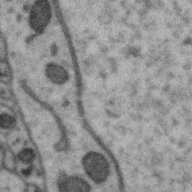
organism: Zebra finch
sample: Brain